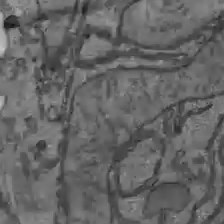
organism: C57BL Mouse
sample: Liver